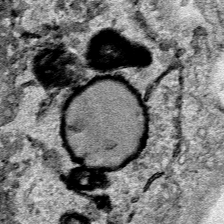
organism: Human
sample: Mitochondria in HCT116 cells